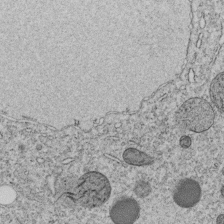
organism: C. elegans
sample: C. elegans embryo early stage